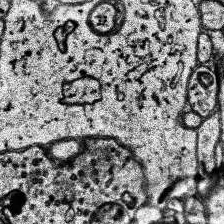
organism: Human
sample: Temporal Lobe